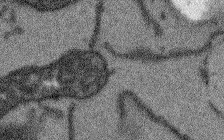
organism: Arabidopsis thaliana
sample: Root tip